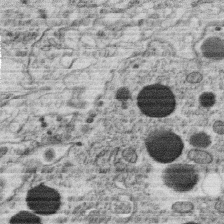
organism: C. elegans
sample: C. elegans oocyte; sperm cells